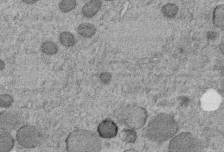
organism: C. elegans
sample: C. elegans embryo early stage